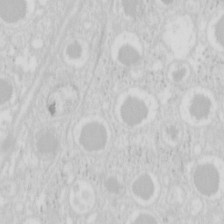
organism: Mouse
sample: Pancreas